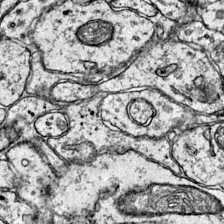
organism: Mouse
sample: Primary visual cortex